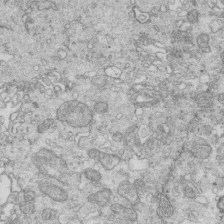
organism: Mouse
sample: Multiciliated cells